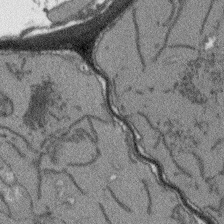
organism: Arabidopsis thaliana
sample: Root tip